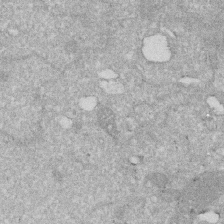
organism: Human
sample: HIV infected U937 cells